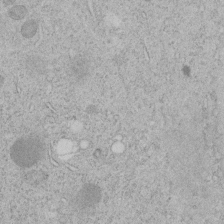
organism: C. elegans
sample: C. elegans embryo early stage